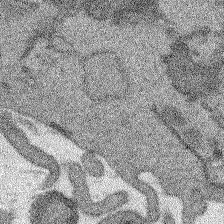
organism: Human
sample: HeLa cells